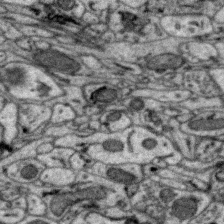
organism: Zebra finch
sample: Brain